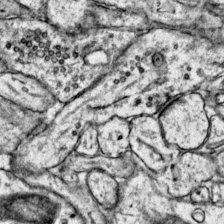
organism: Mouse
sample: Primary visual cortex